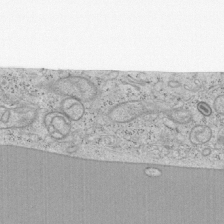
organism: Human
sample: HeLa cells